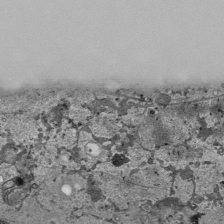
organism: Human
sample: Mitochondria in HCT116 cells